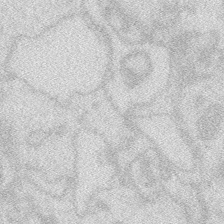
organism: Zebrafish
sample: Macrophage